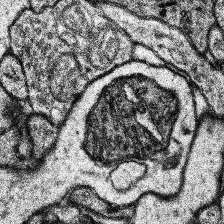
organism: Human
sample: Temporal Lobe